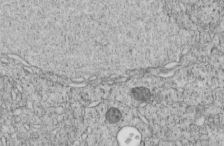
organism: C. elegans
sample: C. elegans embryo early stage